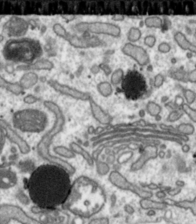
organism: Toxoplasma gondii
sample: Parasites in a vacuole inside a host cell